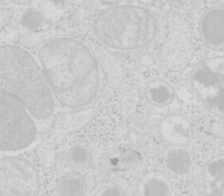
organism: Mouse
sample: Pancreas